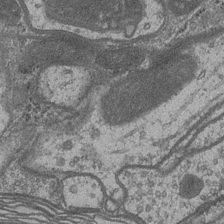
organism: Drosophila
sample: Optic medulla